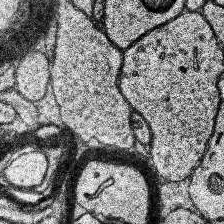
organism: Human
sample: Temporal Lobe